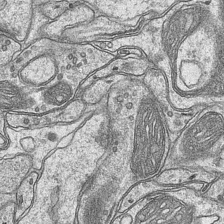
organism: Mouse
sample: CA1 Hippocampus